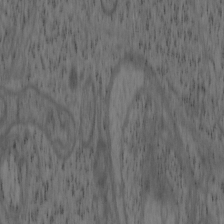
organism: Human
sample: HeLa cells